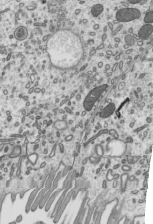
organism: Mouse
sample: Mouse epididymis efferent ductule cilia